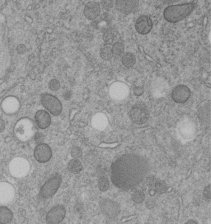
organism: C. elegans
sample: C. elegans embryo early stage